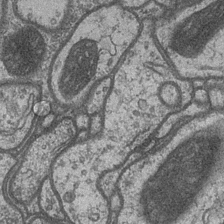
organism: Drosophila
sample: Optic medulla